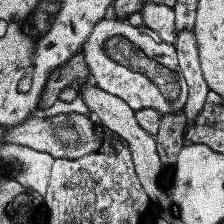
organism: Human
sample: Temporal Lobe